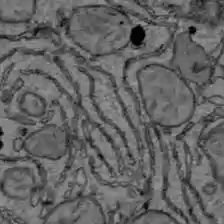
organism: C57BL Mouse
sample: Liver